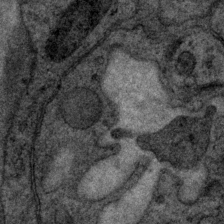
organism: P. pacificus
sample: Pharynx